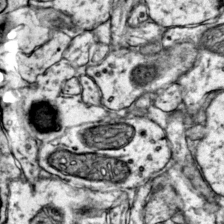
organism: Mouse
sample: Primary visual cortex